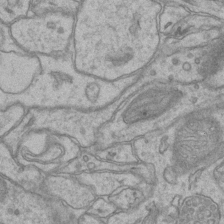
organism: Mouse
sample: CA1 Hippocampus